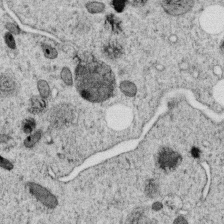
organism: C. elegans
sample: C. elegans oocyte; sperm cells